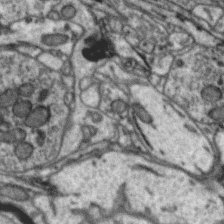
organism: Zebra finch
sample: Brain